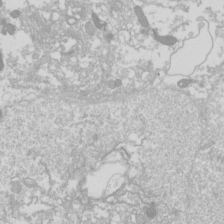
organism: Drosophila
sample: Cell division; meiosis; drosophila spermatocytes